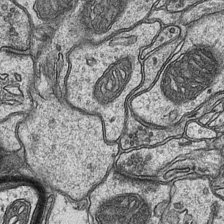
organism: Mouse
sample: CA1 Hippocampus